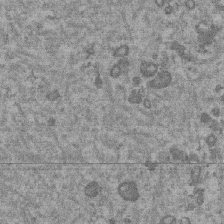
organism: Mouse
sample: Dividing mouse embryo 1 cell stage